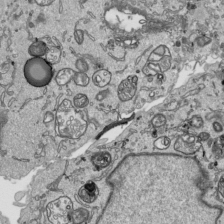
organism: Human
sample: Mitochondria in HCT116 cells